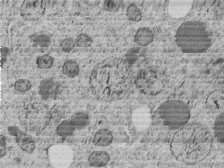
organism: C. elegans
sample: C. elegans embryo early stage